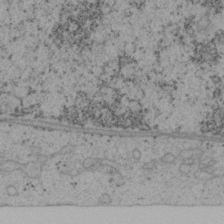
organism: Human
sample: HeLa cells